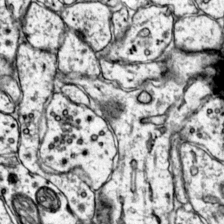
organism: Mouse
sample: Primary visual cortex